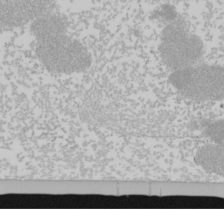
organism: Mouse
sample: Cancer cell death in ED-1 cells